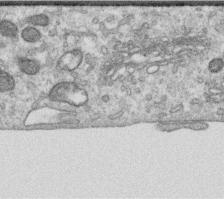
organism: Human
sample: Centriole in RPE cells